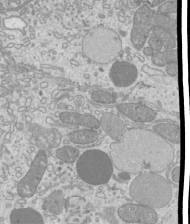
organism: Mouse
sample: Cilia; mouse epididymis